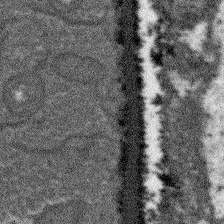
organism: Arabidopsis thaliana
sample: Root tip